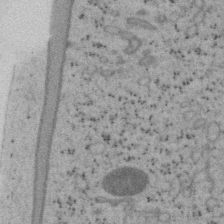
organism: Human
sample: HeLa cells